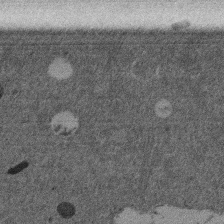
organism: Mouse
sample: Dividing mouse embryo 1 cell stage